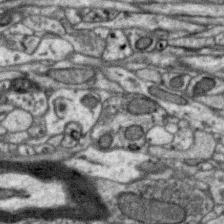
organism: Zebra finch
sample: Brain